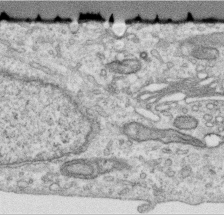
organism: Human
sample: Centriole in RPE cells